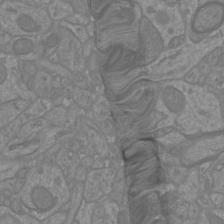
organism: Mouse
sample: Cortical neurons